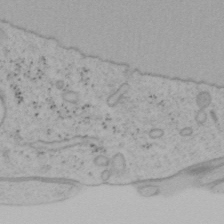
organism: Human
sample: HeLa cells